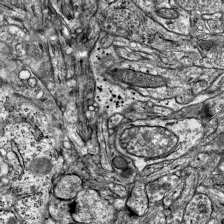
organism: Mouse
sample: Visual Cortex